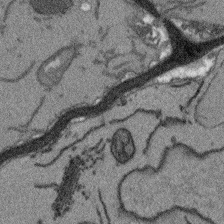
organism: Arabidopsis thaliana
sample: Root tip